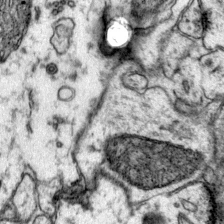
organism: Mouse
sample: Primary visual cortex